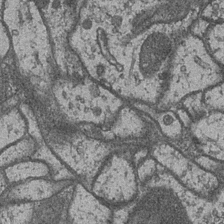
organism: Drosophila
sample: Optic medulla